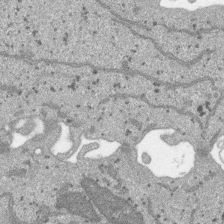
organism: Human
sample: Lung epithelial cells infected with SARS-CoV-2